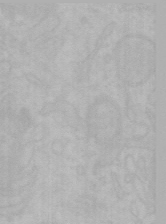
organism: Mouse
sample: Choroid plexus